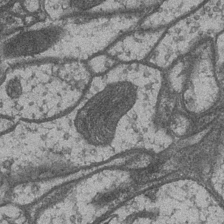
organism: Drosophila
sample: Optic medulla